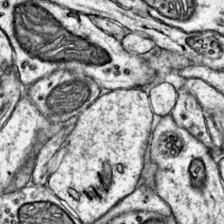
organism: Mouse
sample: Primary visual cortex